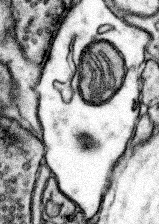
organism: Mouse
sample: Somatosensory cortex neuropil